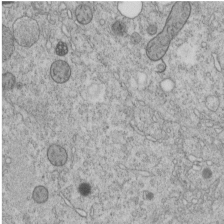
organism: C. elegans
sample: C. elegans embryo early stage